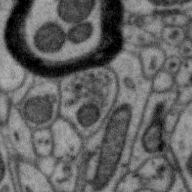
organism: Zebra finch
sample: Brain